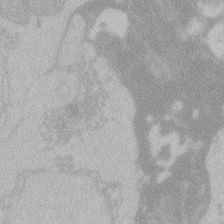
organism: Zebrafish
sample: Macrophage infected with Toxoplasma gondii